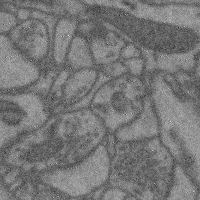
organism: Mouse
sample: Cerebral cortex